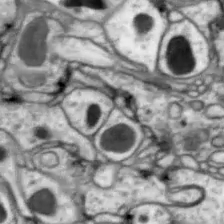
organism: Drosophila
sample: Optic lobe